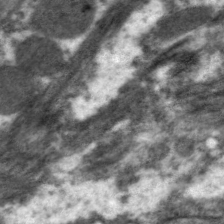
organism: C. elegans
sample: Pharynx